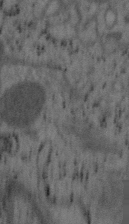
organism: Human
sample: HeLa cells